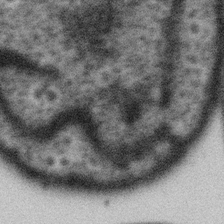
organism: Gemmata obscuriglobus